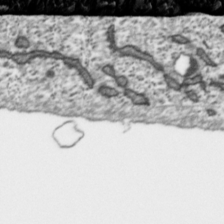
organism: Toxoplasma gondii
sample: Parasites in a vacuole inside a host cell